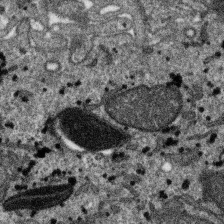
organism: Human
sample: Lung epithelial cells infected with SARS-CoV-2